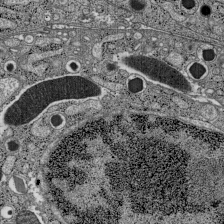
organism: C57BL Mouse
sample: Pancreatic islet